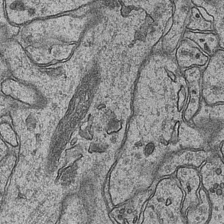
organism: Mouse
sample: CA1 Hippocampus